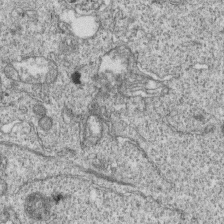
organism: Human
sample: HeLa cell HIV synapse